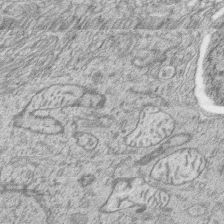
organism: Zebrafish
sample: synaptic ribbons in rod cells and cone cells